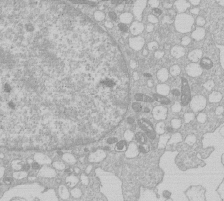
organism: Human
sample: Macrophage cells